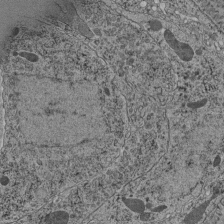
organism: C. elegans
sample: C. elegans pharynx